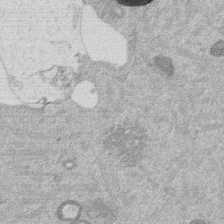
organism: Mouse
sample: Dividing mouse embryo 1 cell stage